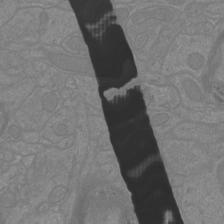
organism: Mouse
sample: Cortical neurons